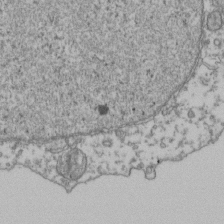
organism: Human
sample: Activated Jurkat CD4+ T cells